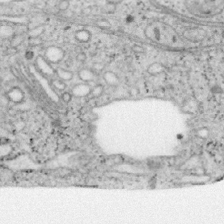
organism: Mouse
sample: OT-I killer T cells with ID8 ovarian cancer cells